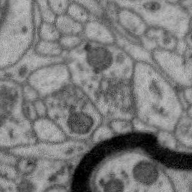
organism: Zebra finch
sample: Brain